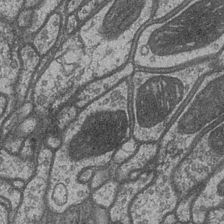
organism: Drosophila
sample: Optic medulla